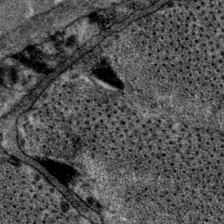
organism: P. pacificus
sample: Pharynx